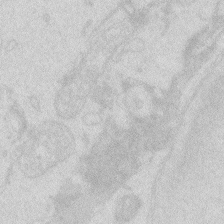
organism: Zebrafish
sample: Macrophage